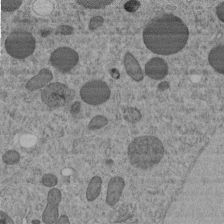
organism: C. elegans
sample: C. elegans embryo early stage